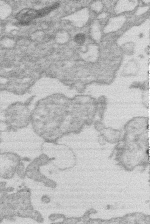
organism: Human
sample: Macrophage cells